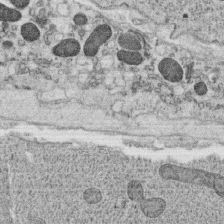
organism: C. elegans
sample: C. elegans oocyte; sperm cells